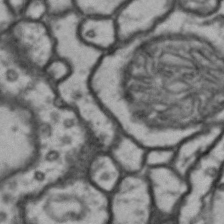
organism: Drosophila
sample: Brain